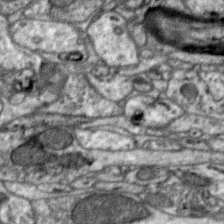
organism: Zebra finch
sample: Brain